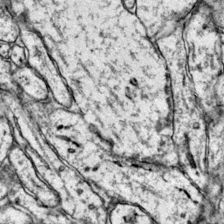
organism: Mouse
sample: Primary visual cortex